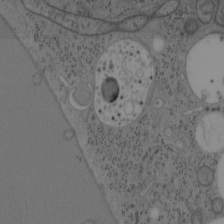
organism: Mouse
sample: OT-I killer T cells with ID8 ovarian cancer cells